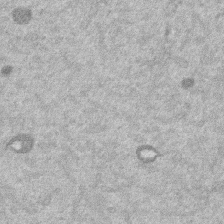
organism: Mouse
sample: Dividing mouse embryo 1 cell stage